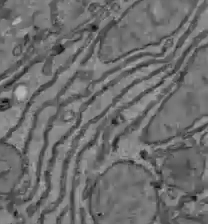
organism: C57BL Mouse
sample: Liver